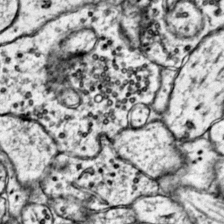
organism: Mouse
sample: Primary visual cortex